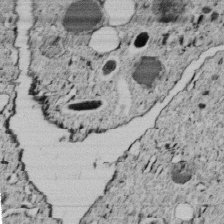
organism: C. elegans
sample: C. elegans embryo early stage